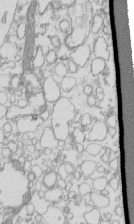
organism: Mouse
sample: Macrophages